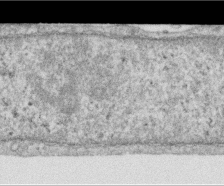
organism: Human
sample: Centriole in RPE cells